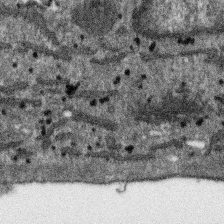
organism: Human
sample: Lung epithelial cells infected with SARS-CoV-2